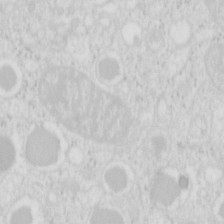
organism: Mouse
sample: Pancreas